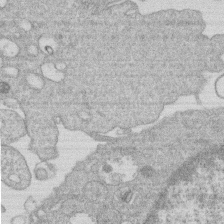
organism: Human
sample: Macrophage cells